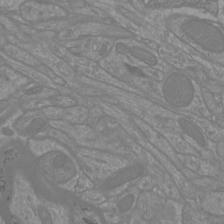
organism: Mouse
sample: Cortical neurons